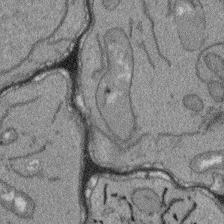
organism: Arabidopsis thaliana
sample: Root tip